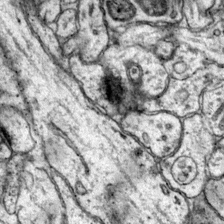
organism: Mouse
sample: Primary visual cortex